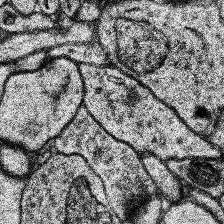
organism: Human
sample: Temporal Lobe